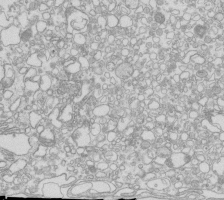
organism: Mouse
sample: Macrophages